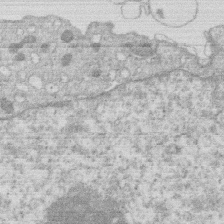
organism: Human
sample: Macrophage cells